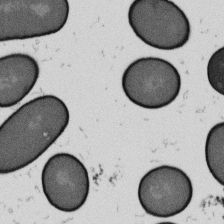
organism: B. subtilis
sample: Bacterial spore